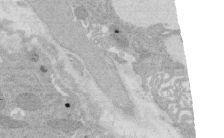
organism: Rat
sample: Salivary granule